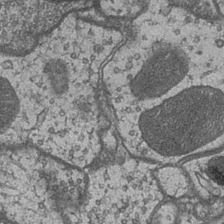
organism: Drosophila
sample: Optic medulla